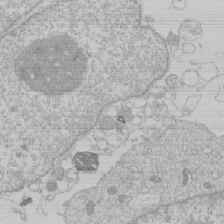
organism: Human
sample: Macrophage cells